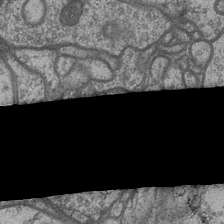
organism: Drosophila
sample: Optic medulla